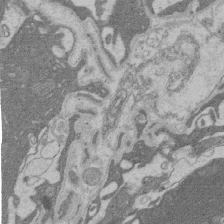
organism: Rat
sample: Salivary granule